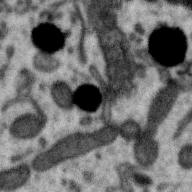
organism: Zebra finch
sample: Brain